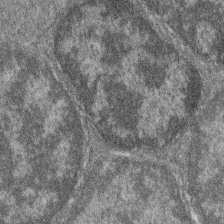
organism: Zebrafish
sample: Cilia; retinal pigment epithelium